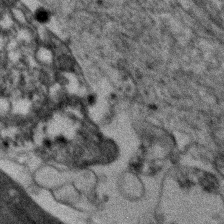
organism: Human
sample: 1205lu cells